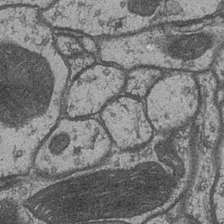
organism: Drosophila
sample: Optic medulla